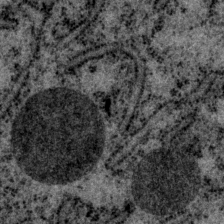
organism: P. pacificus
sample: Pharynx